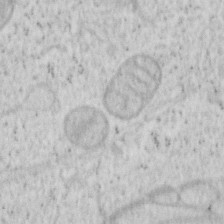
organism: Human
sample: HeLa cells